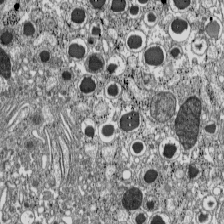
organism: C57BL Mouse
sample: Pancreatic islet